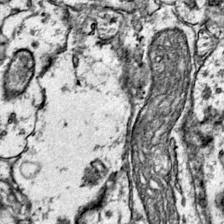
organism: Mouse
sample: Primary visual cortex